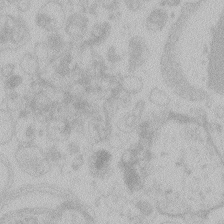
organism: Zebrafish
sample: Macrophage infected with Toxoplasma gondii